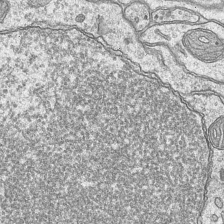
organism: Mouse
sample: CA1 Hippocampus